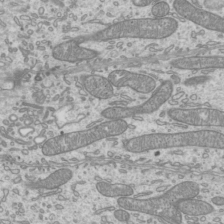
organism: Mouse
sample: Cilia; mouse epididymis